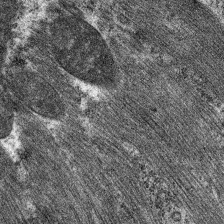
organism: C. elegans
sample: Pharynx